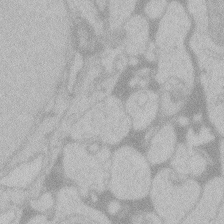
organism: Zebrafish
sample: Macrophage infected with Toxoplasma gondii